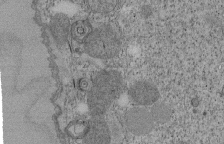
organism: Tetrahymena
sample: Cilia in tetrahymena